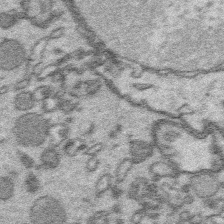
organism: Platynereis dumerilii